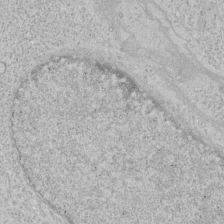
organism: Human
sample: Mitochondria in HCT116 cells